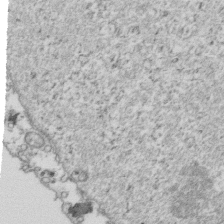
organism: Human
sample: Activated Jurkat CD4+ T cells